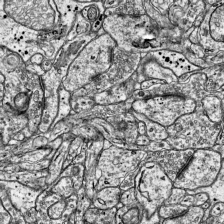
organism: Mouse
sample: Visual Cortex